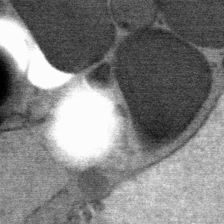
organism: Mouse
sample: Mouse Salivary gland